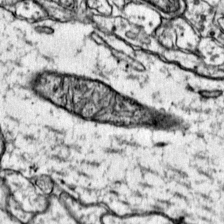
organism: Mouse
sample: Primary visual cortex